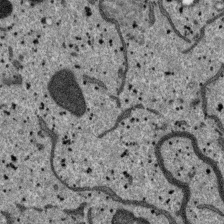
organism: Human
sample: Lung epithelial cells, uninfected (mock) control